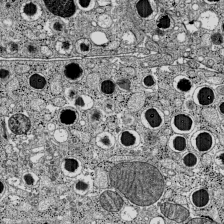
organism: C57BL Mouse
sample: Pancreatic islet